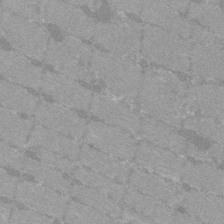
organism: C57BL Mouse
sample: Tibialis anterior muscle cell